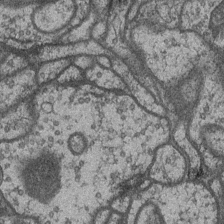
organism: Drosophila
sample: Optic medulla